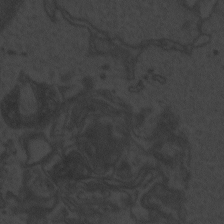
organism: Zebrafish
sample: Macrophage infected with Toxoplasma gondii